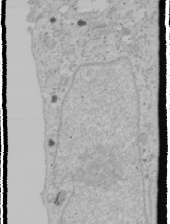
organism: Human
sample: Mitochondria in U2OS cells